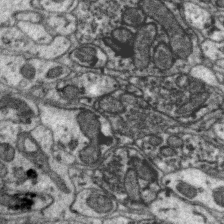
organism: Zebra finch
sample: Brain